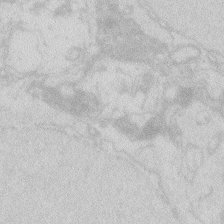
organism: Zebrafish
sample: Macrophage